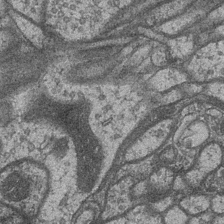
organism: Drosophila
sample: Optic medulla